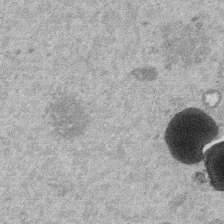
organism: Mouse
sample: Dividing mouse embryo 1 cell stage